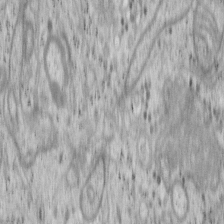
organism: Human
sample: HeLa cells